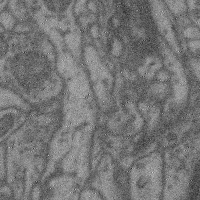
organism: Mouse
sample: Cerebral cortex